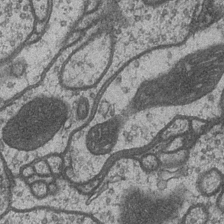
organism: Drosophila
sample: Optic medulla